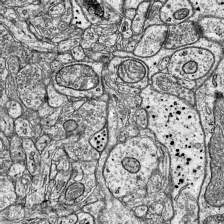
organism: Mouse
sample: Visual Cortex